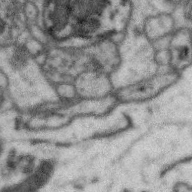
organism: Zebra finch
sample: Brain